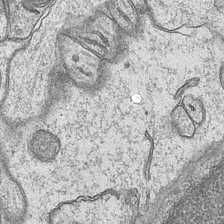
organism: Mouse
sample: CA1 Hippocampus